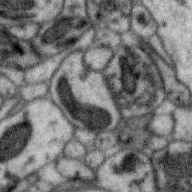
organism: Zebra finch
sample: Brain